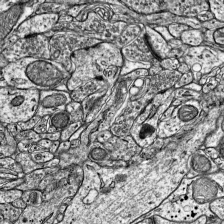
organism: Mouse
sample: Visual Cortex